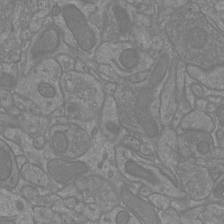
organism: Mouse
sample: Cortical neurons